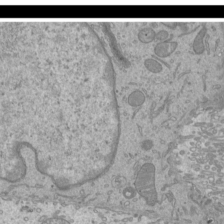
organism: Mouse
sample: Cilia; mouse epididymis